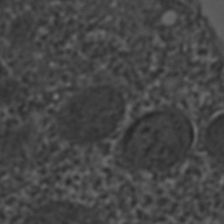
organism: C. elegans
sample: C. elegans embryo